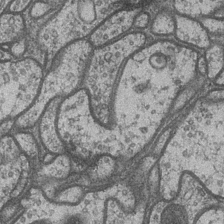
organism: Drosophila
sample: Optic medulla